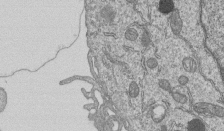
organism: Human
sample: MDA-MB-231 cells